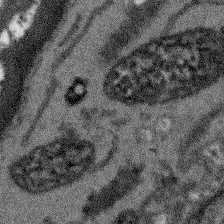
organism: Arabidopsis thaliana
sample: Root tip